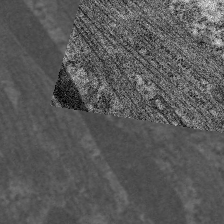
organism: C. elegans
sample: Pharynx